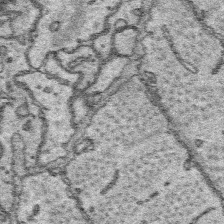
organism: Platynereis dumerilii